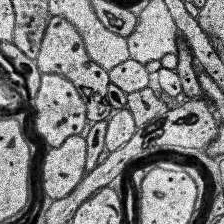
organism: Human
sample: Temporal Lobe